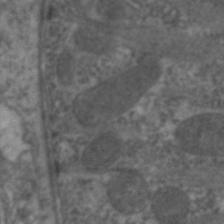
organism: C. elegans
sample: Pharynx